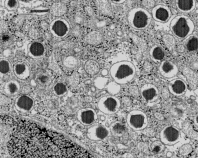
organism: C57BL Mouse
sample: Pancreatic islet